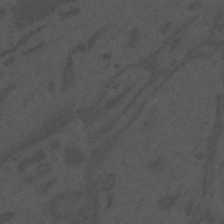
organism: Mouse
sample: Suprachiasmatic nucleus